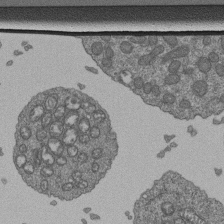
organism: Human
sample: Retinal organoid Rod and Cone cells